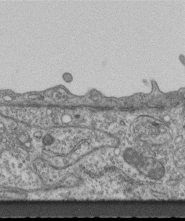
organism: Mouse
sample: Centriole in ependymal cells